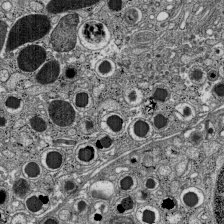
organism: C57BL Mouse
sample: Pancreatic islet